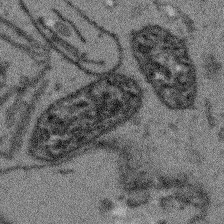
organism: Arabidopsis thaliana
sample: Root tip